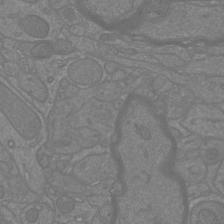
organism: Mouse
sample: Cortical neurons